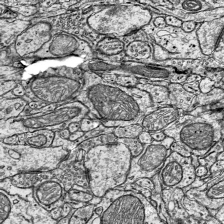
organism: Mouse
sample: Visual Cortex